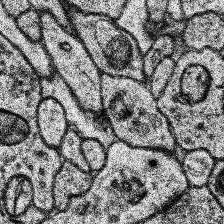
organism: Human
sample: Temporal Lobe